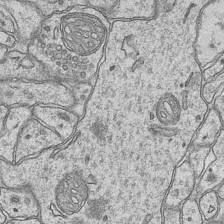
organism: Mouse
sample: CA1 Hippocampus